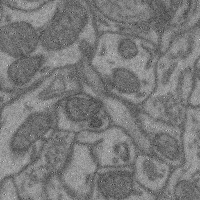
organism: Mouse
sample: Cerebral cortex